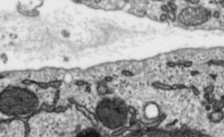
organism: Toxoplasma gondii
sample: Parasites in a vacuole inside a host cell